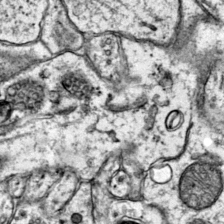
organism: Mouse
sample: Primary visual cortex